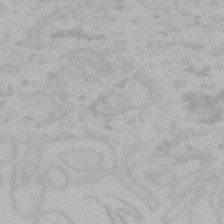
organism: Mouse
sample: Choroid plexus